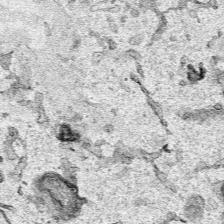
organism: Human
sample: Mitochondria in HCT116 cells